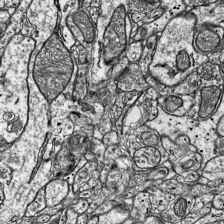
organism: Mouse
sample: Visual Cortex